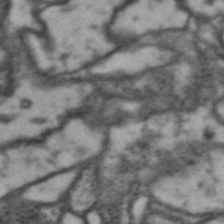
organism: Drosophila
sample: Brain